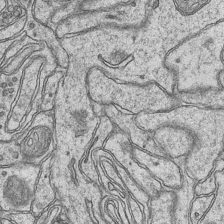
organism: Mouse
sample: CA1 Hippocampus